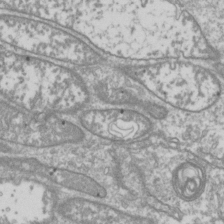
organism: Drosophila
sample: Cell division; meiosis; drosophila spermatocytes